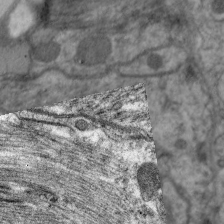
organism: C. elegans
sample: Pharynx